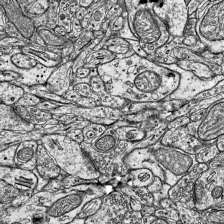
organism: Mouse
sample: Visual Cortex